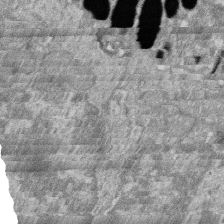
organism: Zebrafish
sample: Cilia; retinal pigment epithelium